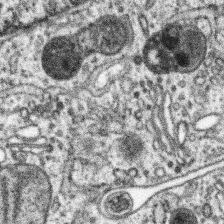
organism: Human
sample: HeLa cells